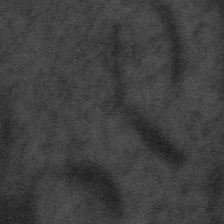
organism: Tuwongella immobilis